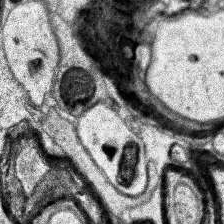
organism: Human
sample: Temporal Lobe